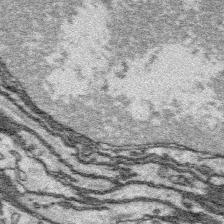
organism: Platynereis dumerilii